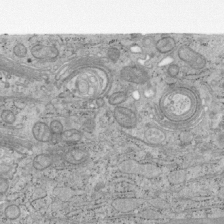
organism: Human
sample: HeLa cells